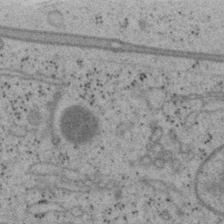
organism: Human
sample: HeLa cells